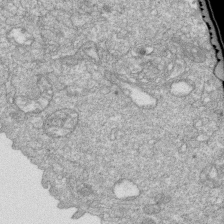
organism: Human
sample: HeLa cell HIV synapse